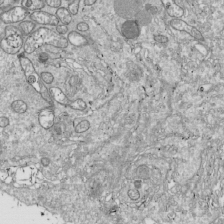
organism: Drosophila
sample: Cell division; meiosis; drosophila spermatocytes